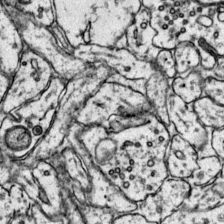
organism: Mouse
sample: Primary visual cortex